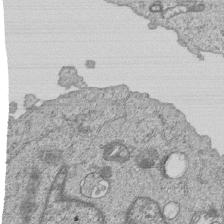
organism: Human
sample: MDA-MB-231 cells